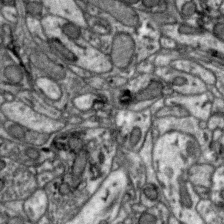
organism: Zebra finch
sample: Brain